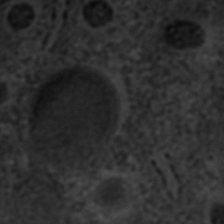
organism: C. elegans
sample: C. elegans embryo